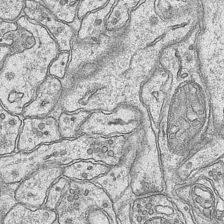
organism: Mouse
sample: CA1 Hippocampus